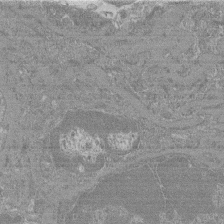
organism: Mouse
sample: Glomerulus